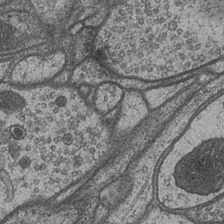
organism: Drosophila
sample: Optic medulla